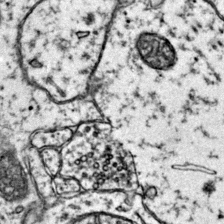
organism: Mouse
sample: Primary visual cortex